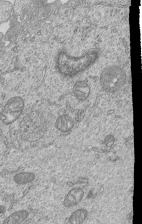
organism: Human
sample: MDA-MB-231 cells